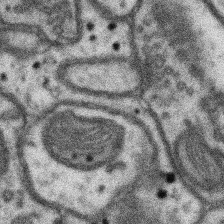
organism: Mouse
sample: Somatosensory cortex neuropil